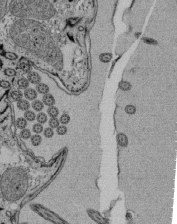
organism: Tetrahymena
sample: Cilia in tetrahymena